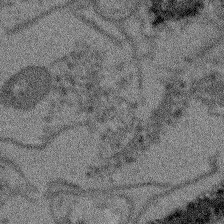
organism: Arabidopsis thaliana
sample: Root tip